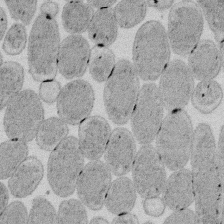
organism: E. coli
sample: Bacterial nucleoid